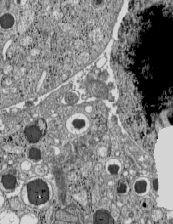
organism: C57BL Mouse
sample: Pancreatic islet